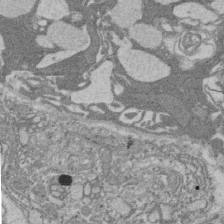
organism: Rat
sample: Salivary granule